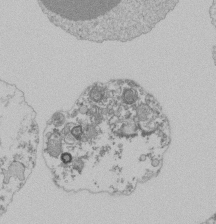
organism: Mouse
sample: Activated Pmel transgenic CD8+ T Cells